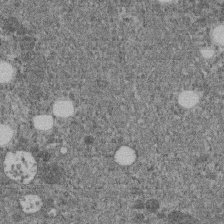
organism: C. elegans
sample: C. elegans embryo early stage